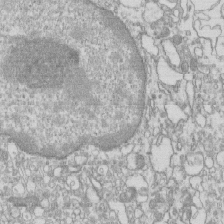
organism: Mouse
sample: Macrophages